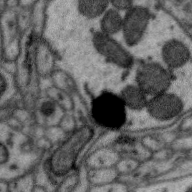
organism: Zebra finch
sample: Brain